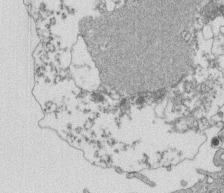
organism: Human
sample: HeLa cell HIV synapse